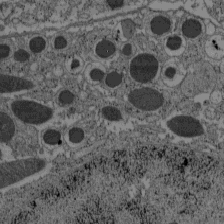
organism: C57BL Mouse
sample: Pancreatic islet